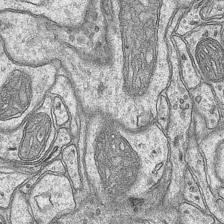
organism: Mouse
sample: CA1 Hippocampus